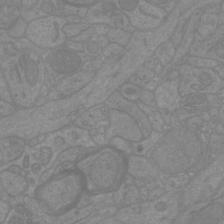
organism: Mouse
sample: Cortical neurons